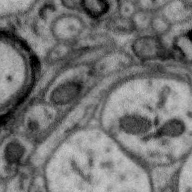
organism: Zebra finch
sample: Brain